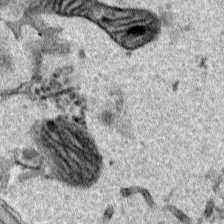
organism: Human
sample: Mitochondria in HCT116 cells